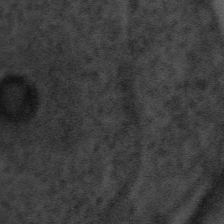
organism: Tuwongella immobilis